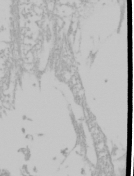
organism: Mouse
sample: Cancer cell death in ED-1 cells